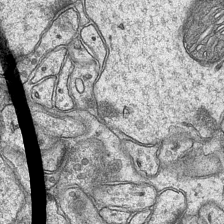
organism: Mouse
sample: CA1 Hippocampus